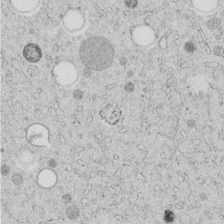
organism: C. elegans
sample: C. elegans embryo early stage